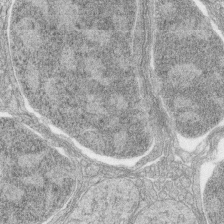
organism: Zebrafish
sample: synaptic ribbons in rod cells and cone cells